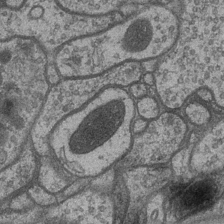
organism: Drosophila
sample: Optic medulla